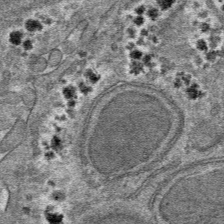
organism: Mouse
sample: Mouse hepatocytes